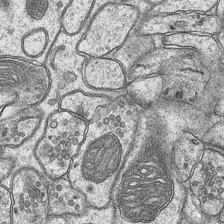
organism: Mouse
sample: CA1 Hippocampus